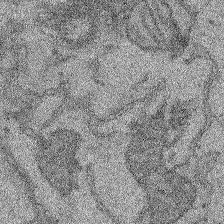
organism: Human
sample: HeLa cells